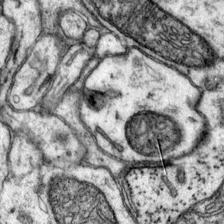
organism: Mouse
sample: Primary visual cortex